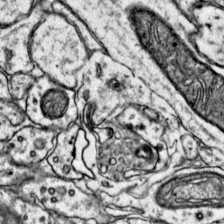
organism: Mouse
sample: Primary visual cortex